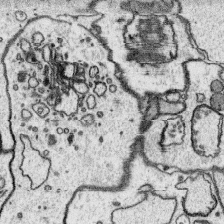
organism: Platynereis dumerilii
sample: Parapodia